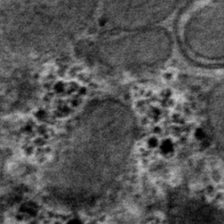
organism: Mouse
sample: Mouse hepatocytes